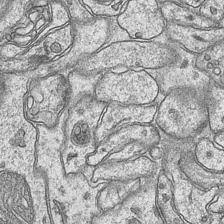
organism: Mouse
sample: CA1 Hippocampus